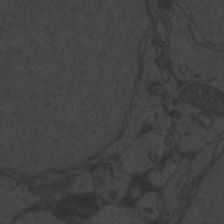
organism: Zebrafish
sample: Macrophage infected with Toxoplasma gondii